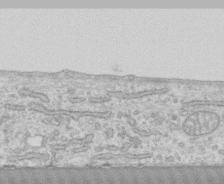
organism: Human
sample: CRL-1474